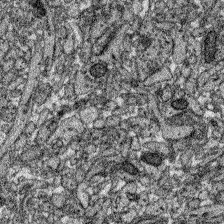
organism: Zebrafish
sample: Larval olfactory bulb